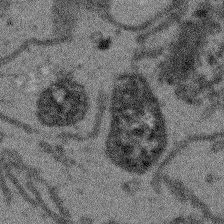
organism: Arabidopsis thaliana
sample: Root tip